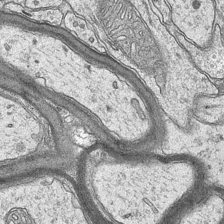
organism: Mouse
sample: CA1 Hippocampus